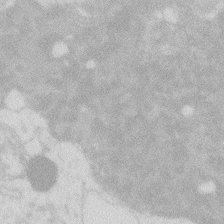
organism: Zebrafish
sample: Macrophage